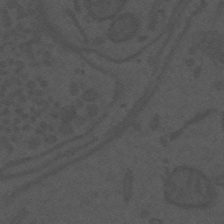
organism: Mouse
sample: Suprachiasmatic nucleus